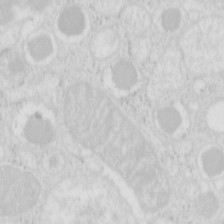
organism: Mouse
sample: Pancreas